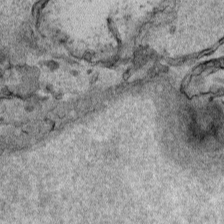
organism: Human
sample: Mitochondria in HCT116 cells